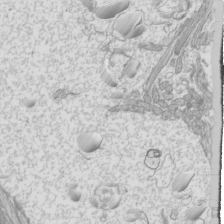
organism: Mouse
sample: Cilia; mouse epididymis